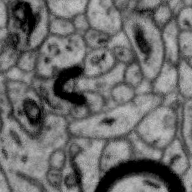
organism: Zebra finch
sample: Brain